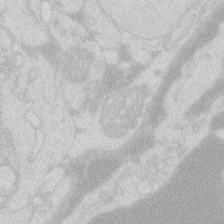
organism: Zebrafish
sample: Macrophage